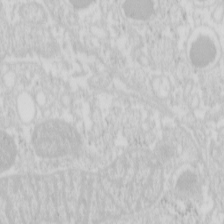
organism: Mouse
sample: Pancreas